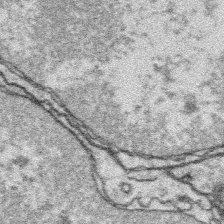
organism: Platynereis dumerilii